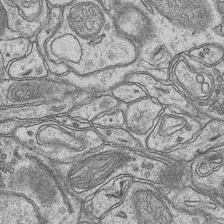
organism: Mouse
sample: CA1 Hippocampus